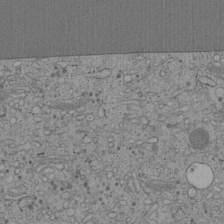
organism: African green monkey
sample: COS-7 cells